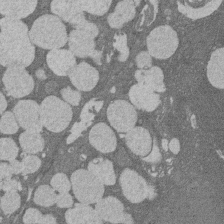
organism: Rat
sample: Salivary granule